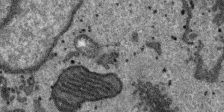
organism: Human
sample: Lung epithelial cells, uninfected (mock) control